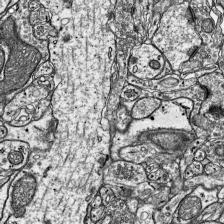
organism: Mouse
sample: Visual Cortex